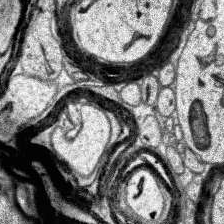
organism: Human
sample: Temporal Lobe